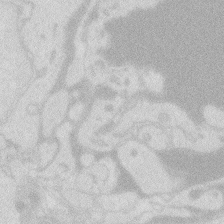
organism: Zebrafish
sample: Macrophage